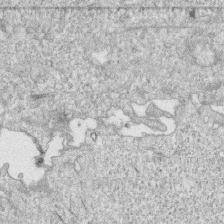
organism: Human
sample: HeLa cell HIV synapse